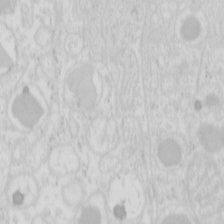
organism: Mouse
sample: Pancreas